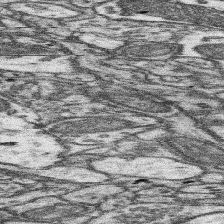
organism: Mouse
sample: Somatosensory cortex neuropil